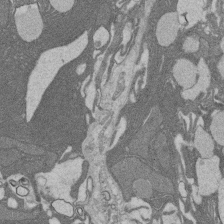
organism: Rat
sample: Salivary granule